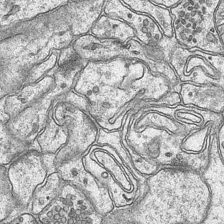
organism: Mouse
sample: CA1 Hippocampus